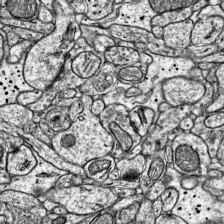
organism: Mouse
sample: Visual Cortex